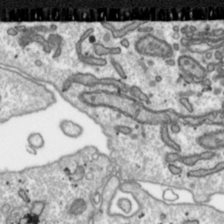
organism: Toxoplasma gondii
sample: Parasites in a vacuole inside a host cell